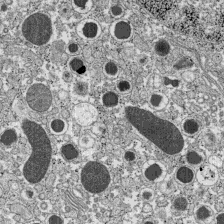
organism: C57BL Mouse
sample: Pancreatic islet